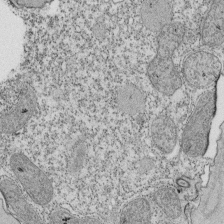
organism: Tetrahymena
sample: Cilia in tetrahymena